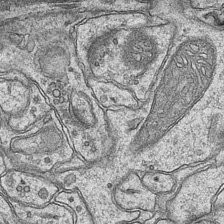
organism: Mouse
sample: CA1 Hippocampus